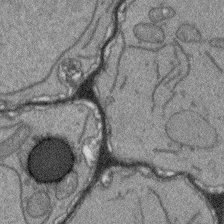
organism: Arabidopsis thaliana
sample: Root tip